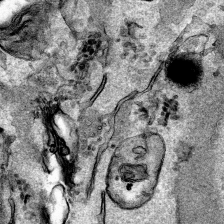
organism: Human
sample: Mitochondria in HCT116 cells